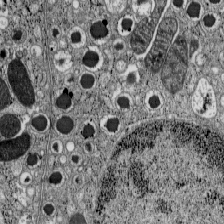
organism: C57BL Mouse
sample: Pancreatic islet